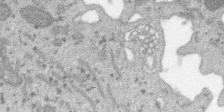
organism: Human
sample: Lung epithelial cells infected with SARS-CoV-2